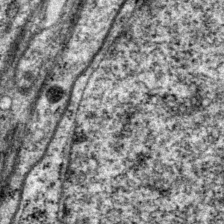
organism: P. pacificus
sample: Pharynx